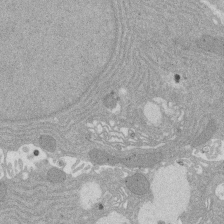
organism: Rat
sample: Salivary granule